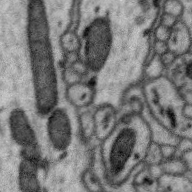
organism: Zebra finch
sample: Brain